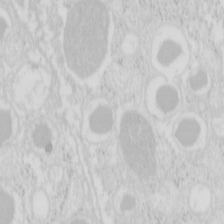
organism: Mouse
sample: Pancreas